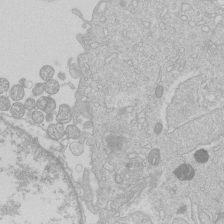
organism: Human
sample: Macrophage cells